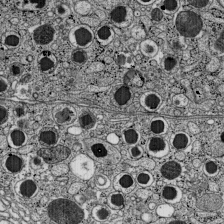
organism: C57BL Mouse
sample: Pancreatic islet